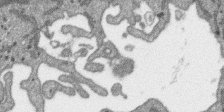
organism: Human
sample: Lung epithelial cells infected with SARS-CoV-2